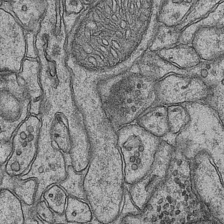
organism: Mouse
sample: CA1 Hippocampus